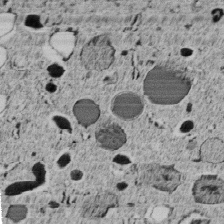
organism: C. elegans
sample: C. elegans embryo early stage